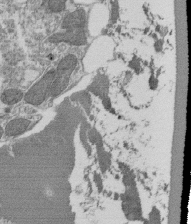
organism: Tetrahymena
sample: Cilia in tetrahymena